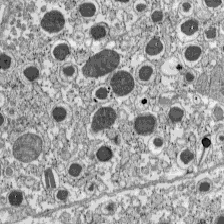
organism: C57BL Mouse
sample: Pancreatic islet